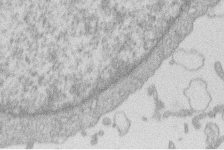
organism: Human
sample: Macrophage cells